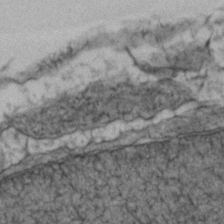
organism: Zebrafish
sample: Zebrafish embryo